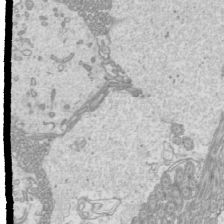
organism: Mouse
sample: Cilia; mouse epididymis